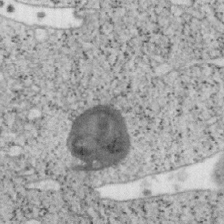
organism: Mouse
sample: OT-I killer T cells with ID8 ovarian cancer cells